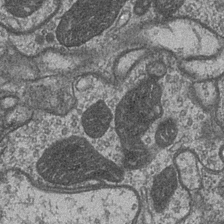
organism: Drosophila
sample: Optic medulla